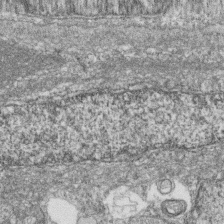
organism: Zebrafish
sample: Cilia; retinal pigment epithelium